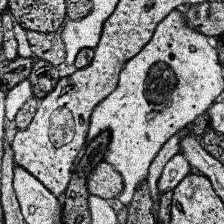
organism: Human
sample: Temporal Lobe